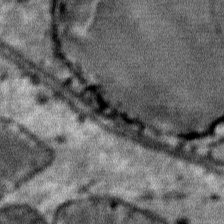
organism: Mouse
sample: Mouse Salivary gland